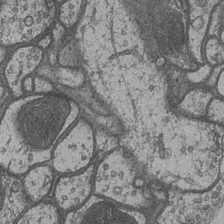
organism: Drosophila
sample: Optic medulla